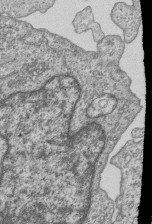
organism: Human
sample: MDA-MB-231 cells